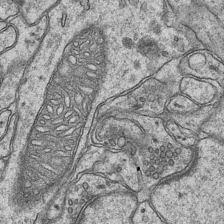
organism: Mouse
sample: CA1 Hippocampus